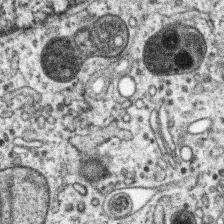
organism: Human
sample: HeLa cells